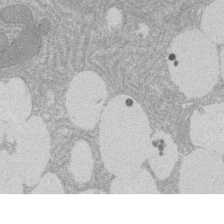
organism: Rat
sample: Salivary granule